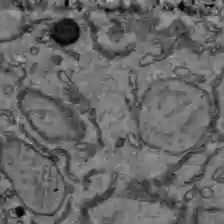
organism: C57BL Mouse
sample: Liver